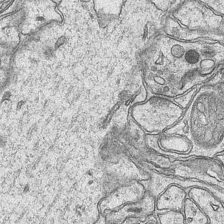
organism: Mouse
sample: CA1 Hippocampus